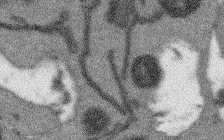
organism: Arabidopsis thaliana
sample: Root tip